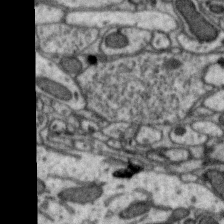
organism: Zebra finch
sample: Brain